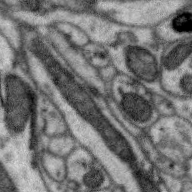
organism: Zebra finch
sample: Brain